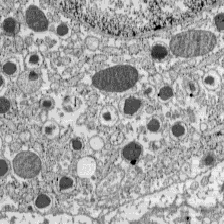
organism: C57BL Mouse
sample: Pancreatic islet